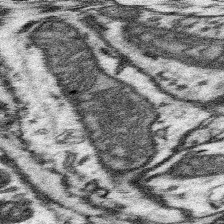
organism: Mouse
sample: Somatosensory cortex neuropil